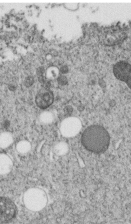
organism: C. elegans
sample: C. elegans embryo early stage